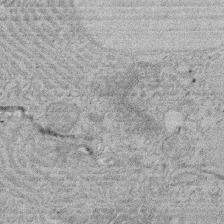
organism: Rat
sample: Salivary granule